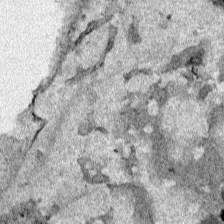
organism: Human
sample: Mitochondria in HCT116 cells